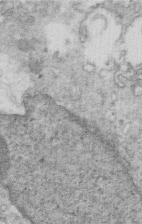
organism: Mouse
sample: Multiciliated cells